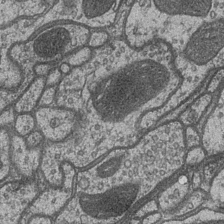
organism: Drosophila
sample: Optic medulla